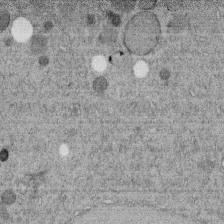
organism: C. elegans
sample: C. elegans embryo early stage